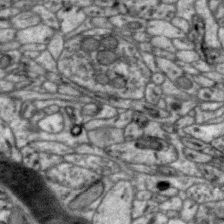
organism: Zebra finch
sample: Brain